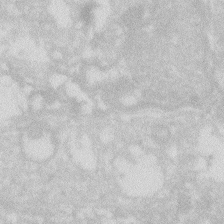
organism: Zebrafish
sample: Macrophage